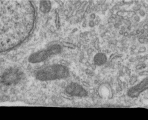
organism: Human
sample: Centriole in RPE cells